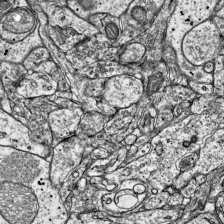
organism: Mouse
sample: Visual Cortex